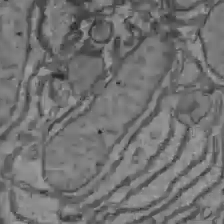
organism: C57BL Mouse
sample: Liver